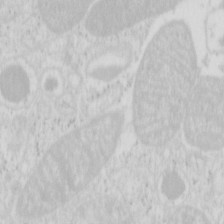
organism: Mouse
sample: Pancreas